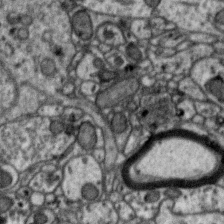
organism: Zebra finch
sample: Brain